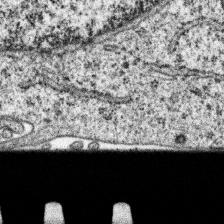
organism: Human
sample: HeLa cells